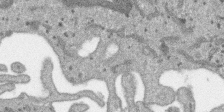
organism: Human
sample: Lung epithelial cells infected with SARS-CoV-2